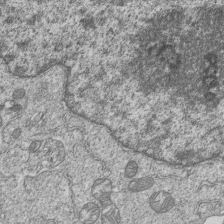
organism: Human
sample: MDA-MB-231 cells